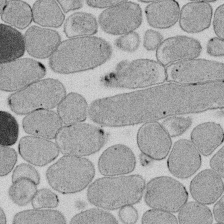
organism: E. coli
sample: Bacterial nucleoid